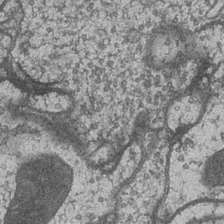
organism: Drosophila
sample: Optic medulla